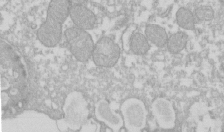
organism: Xenopus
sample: Cilia; centrioles in frog embryo cells